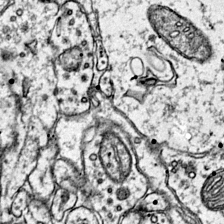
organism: Mouse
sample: Primary visual cortex